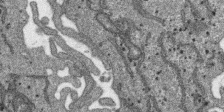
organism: Human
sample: Lung epithelial cells infected with SARS-CoV-2